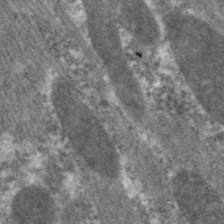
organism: C. elegans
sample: Pharynx